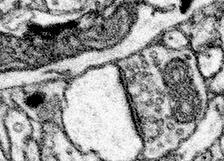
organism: Mouse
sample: Somatosensory cortex neuropil